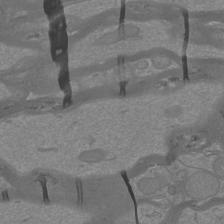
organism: Mouse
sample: Cortical neurons